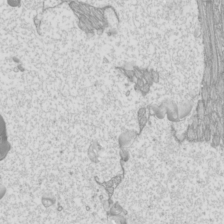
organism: Mouse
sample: Cilia; mouse epididymis